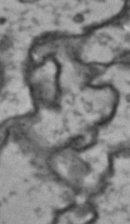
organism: Drosophila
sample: Brain